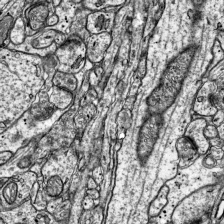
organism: Mouse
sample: Visual Cortex